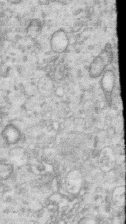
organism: Human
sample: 1205lu cells